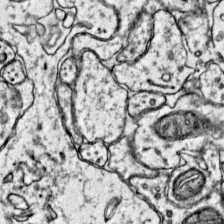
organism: Mouse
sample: Primary visual cortex